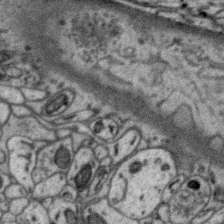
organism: Zebra finch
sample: Brain